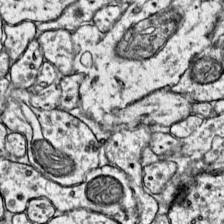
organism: Mouse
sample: Primary visual cortex